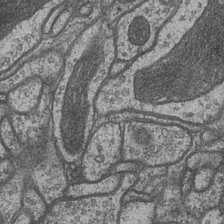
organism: Drosophila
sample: Optic medulla